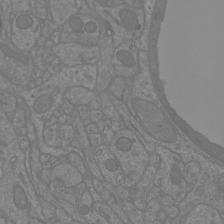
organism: Mouse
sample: Cortical neurons